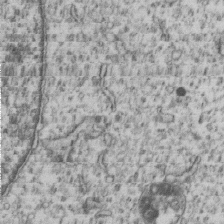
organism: Human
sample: MDA-MB-231 cells